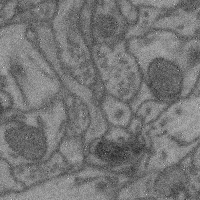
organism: Mouse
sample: Cerebral cortex